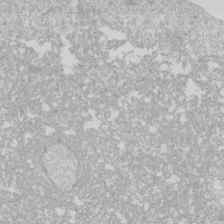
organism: Drosophila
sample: Cell division; meiosis; drosophila spermatocytes